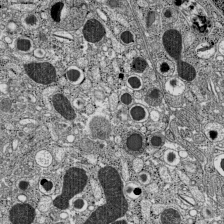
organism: C57BL Mouse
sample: Pancreatic islet